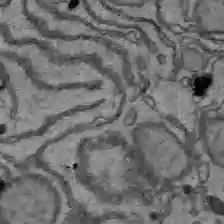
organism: C57BL Mouse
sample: Liver